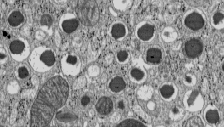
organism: C57BL Mouse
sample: Pancreatic islet